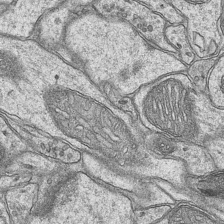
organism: Mouse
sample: CA1 Hippocampus